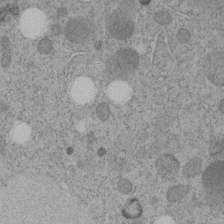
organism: C. elegans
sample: C. elegans embryo early stage